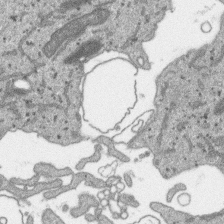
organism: Human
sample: Lung epithelial cells infected with SARS-CoV-2